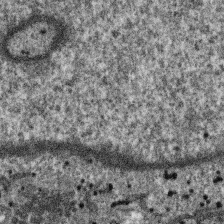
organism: Human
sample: Lung epithelial cells infected with SARS-CoV-2